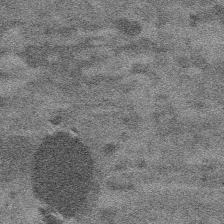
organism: Platynereis dumerilii